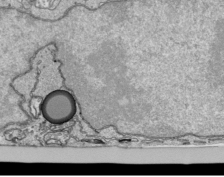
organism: Human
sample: Mitochondria in HCT116 cells